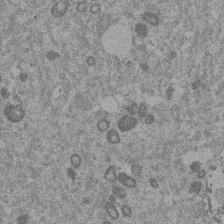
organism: Mouse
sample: Dividing mouse embryo 1 cell stage